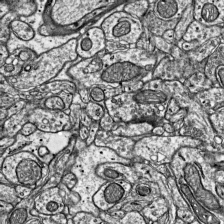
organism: Mouse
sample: Visual Cortex